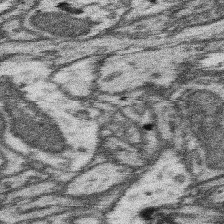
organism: Mouse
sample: Somatosensory cortex neuropil